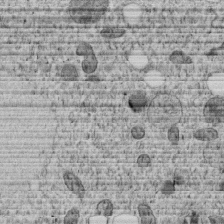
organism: C. elegans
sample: C. elegans embryo early stage